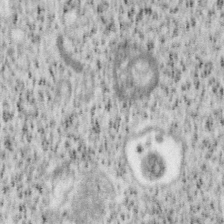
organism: Mouse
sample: OT-I killer T cells with ID8 ovarian cancer cells